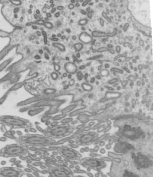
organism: Mouse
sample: Mouse epididymis efferent ductule cilia